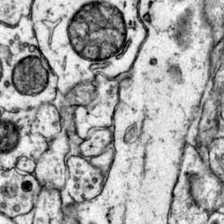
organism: Mouse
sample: Primary visual cortex